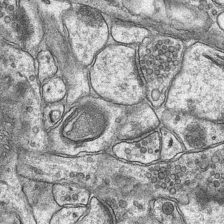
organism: Mouse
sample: CA1 Hippocampus